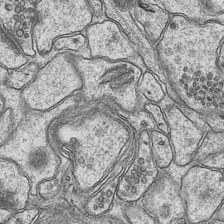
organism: Mouse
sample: CA1 Hippocampus